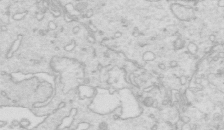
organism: Mouse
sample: Multiciliated cells